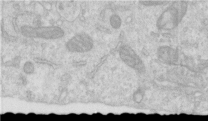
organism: Human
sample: Centriole in RPE cells